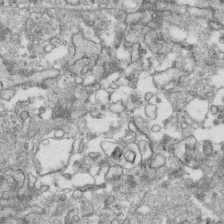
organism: Human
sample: CRL-1474